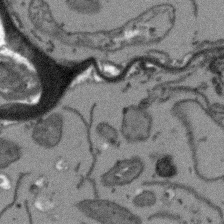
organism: Arabidopsis thaliana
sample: Root tip